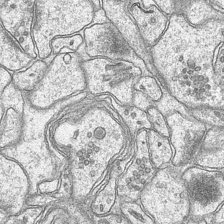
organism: Mouse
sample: CA1 Hippocampus